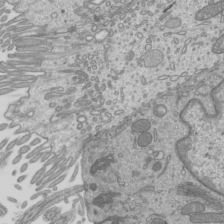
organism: Mouse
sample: Cilia; mouse epididymis